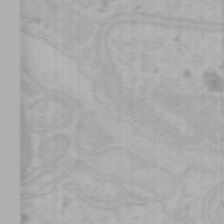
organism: Mouse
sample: Choroid plexus